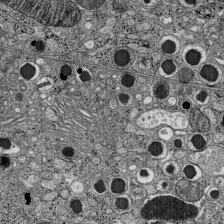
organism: C57BL Mouse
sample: Pancreatic islet